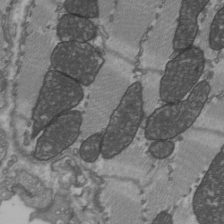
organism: C57BL Mouse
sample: Heart